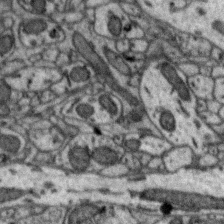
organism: Zebra finch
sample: Brain